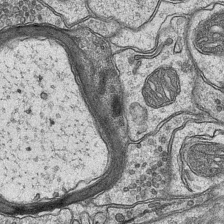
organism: Mouse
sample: CA1 Hippocampus